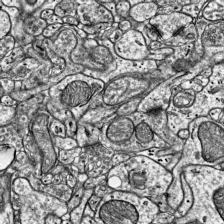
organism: Mouse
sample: Visual Cortex